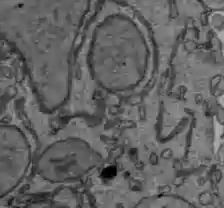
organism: C57BL Mouse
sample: Liver